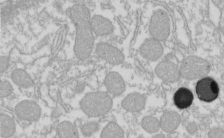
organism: Xenopus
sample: Cilia; centrioles in frog embryo cells